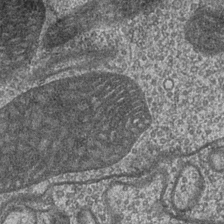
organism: Drosophila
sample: Optic medulla